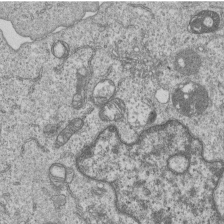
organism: Human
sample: MDA-MB-231 cells